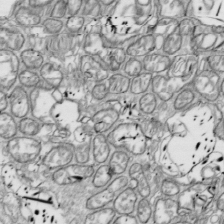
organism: Drosophila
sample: Cell division; meiosis; drosophila spermatocytes